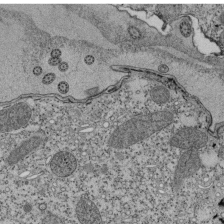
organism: Tetrahymena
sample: Cilia in tetrahymena